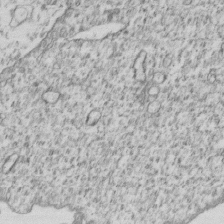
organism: Human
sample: MDA-MB-231 cells